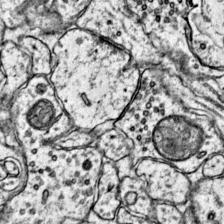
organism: Mouse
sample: Primary visual cortex